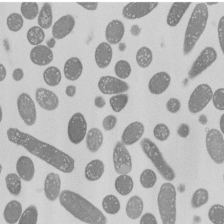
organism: E. coli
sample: Bacterial nucleoid